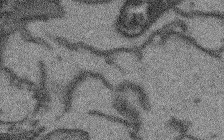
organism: Arabidopsis thaliana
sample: Root tip